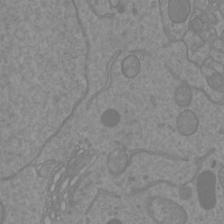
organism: Mouse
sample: Cortical neurons